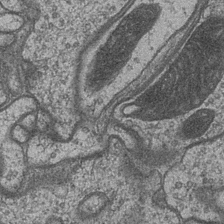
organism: Drosophila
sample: Optic medulla